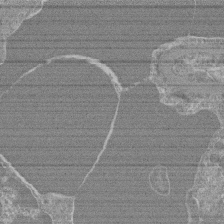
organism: Mouse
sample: Glomerulus